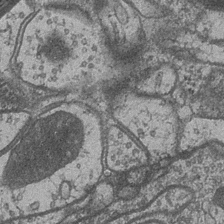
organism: Drosophila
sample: Optic medulla